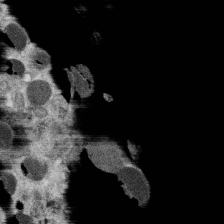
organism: C. elegans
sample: C. elegans oocyte; sperm cells